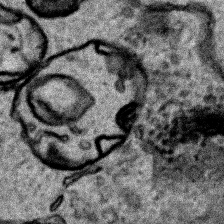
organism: Human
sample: Mitochondria in HCT116 cells